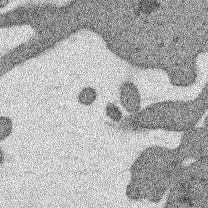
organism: Human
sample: HeLa cells